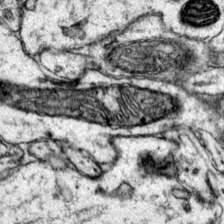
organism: Mouse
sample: Primary visual cortex